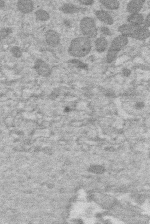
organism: Human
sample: Macrophage cells